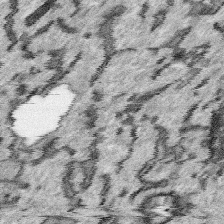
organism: Human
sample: HeLa cells